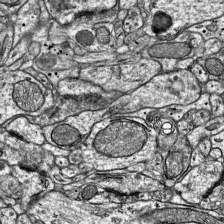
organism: Mouse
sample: Visual Cortex